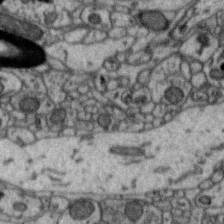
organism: Zebra finch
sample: Brain